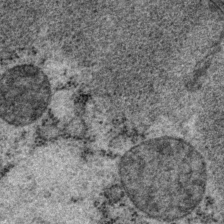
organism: P. pacificus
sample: Pharynx